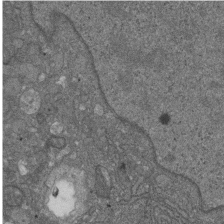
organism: Drosophila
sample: Nephrocyte